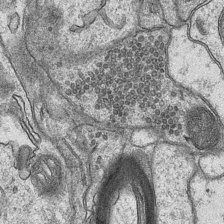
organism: Mouse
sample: CA1 Hippocampus